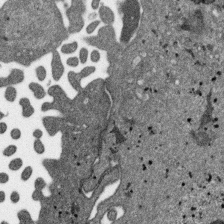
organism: Human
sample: Lung epithelial cells, uninfected (mock) control